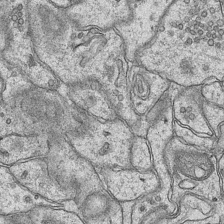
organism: Mouse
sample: CA1 Hippocampus